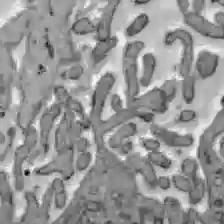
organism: C57BL Mouse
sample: Liver